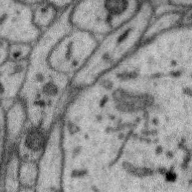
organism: Zebra finch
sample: Brain